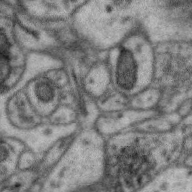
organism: Zebra finch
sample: Brain